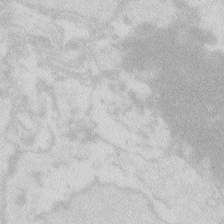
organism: Zebrafish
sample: Macrophage